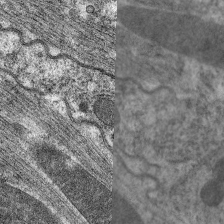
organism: C. elegans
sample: Pharynx